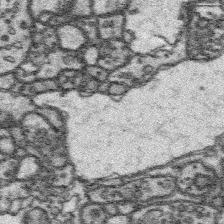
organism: Platynereis dumerilii